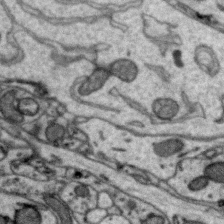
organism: Zebra finch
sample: Brain